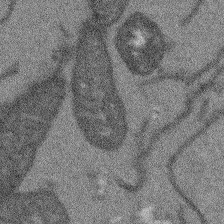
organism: Arabidopsis thaliana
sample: Root tip